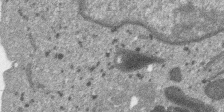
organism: Human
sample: Lung epithelial cells infected with SARS-CoV-2